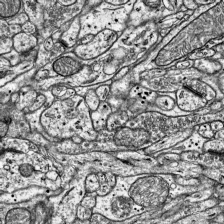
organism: Mouse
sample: Visual Cortex